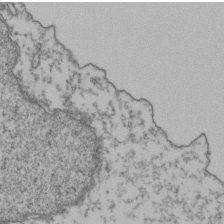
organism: Human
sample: Activated Jurkat CD4+ T cells